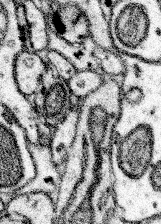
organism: Mouse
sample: Somatosensory cortex neuropil